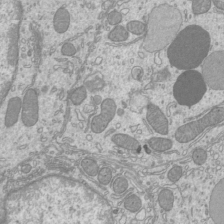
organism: Mouse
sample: Cilia; mouse epididymis